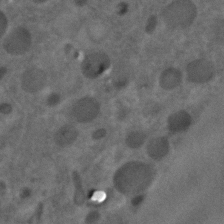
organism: C. elegans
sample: C. elegans embryo